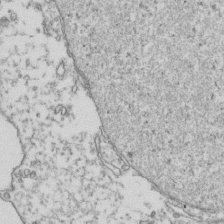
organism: Human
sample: Activated Jurkat CD4+ T cells